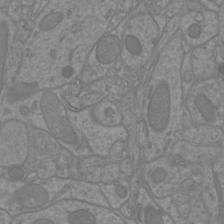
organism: Mouse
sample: Cortical neurons